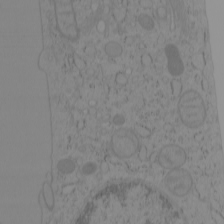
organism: Human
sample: HeLa cells